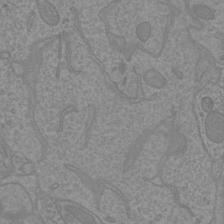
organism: Mouse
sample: Cortical neurons